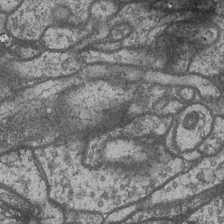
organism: Drosophila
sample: Optic medulla